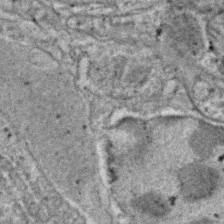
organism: C. elegans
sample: C. elegans embryo